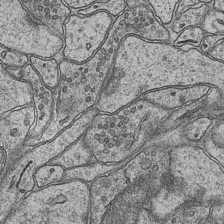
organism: Mouse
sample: CA1 Hippocampus